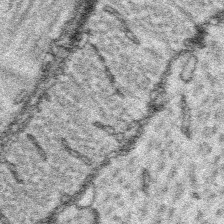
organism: Platynereis dumerilii